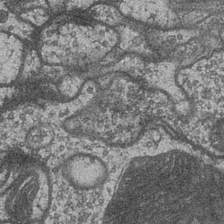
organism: Drosophila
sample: Optic medulla